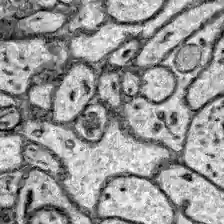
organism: Zebrafish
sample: Brain